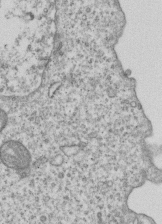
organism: Human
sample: MDA-MB-231 cells